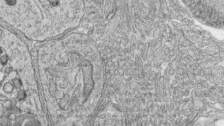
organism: Zebrafish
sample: synaptic ribbons in rod cells and cone cells